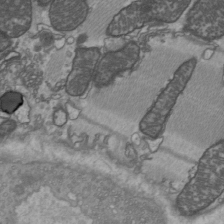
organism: C57BL Mouse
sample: Heart